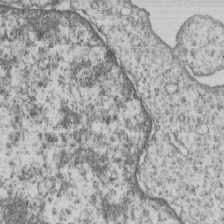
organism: Human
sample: MDA-MB-231 cells